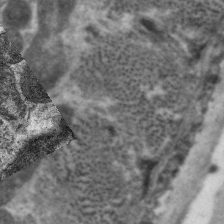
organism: C. elegans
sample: Pharynx